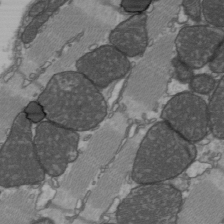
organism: C57BL Mouse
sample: Heart